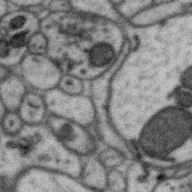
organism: Zebra finch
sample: Brain